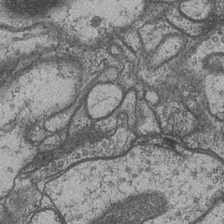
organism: Drosophila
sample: Optic medulla